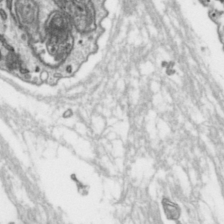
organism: Toxoplasma gondii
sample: Parasites in a vacuole inside a host cell